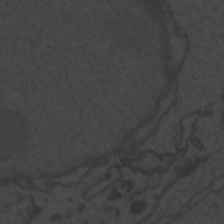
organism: Zebrafish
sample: Macrophage infected with Toxoplasma gondii